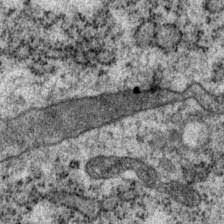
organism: P. pacificus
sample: Pharynx